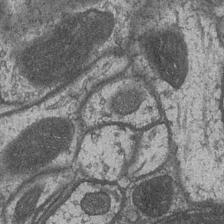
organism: Drosophila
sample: Optic medulla